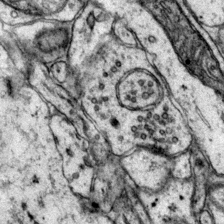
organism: Mouse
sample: Primary visual cortex